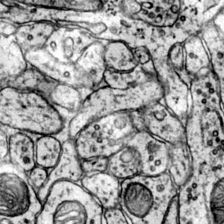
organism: Mouse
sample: Primary visual cortex